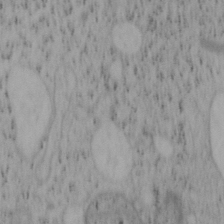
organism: Mouse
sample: OT-I killer T cells with ID8 ovarian cancer cells